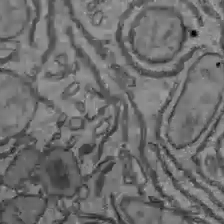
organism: C57BL Mouse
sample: Liver